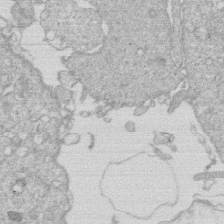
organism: Human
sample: Macrophage cells